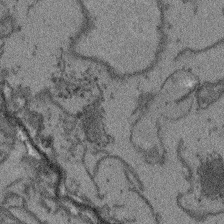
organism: Arabidopsis thaliana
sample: Root tip